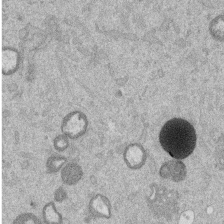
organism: Mouse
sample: Dividing mouse embryo 1 cell stage